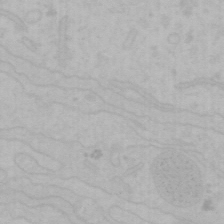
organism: Mouse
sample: Choroid plexus